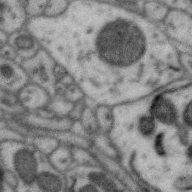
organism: Zebra finch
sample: Brain